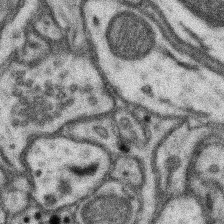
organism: Mouse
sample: Somatosensory cortex neuropil